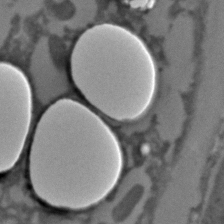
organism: C. elegans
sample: C. elegans embryo